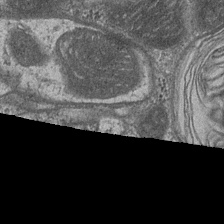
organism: Drosophila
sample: Optic medulla